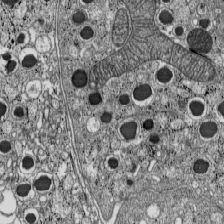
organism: C57BL Mouse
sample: Pancreatic islet